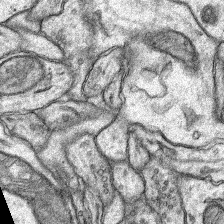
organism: Rat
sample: Hippocampus